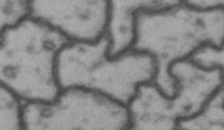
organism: Drosophila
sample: Brain